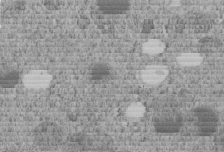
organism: C. elegans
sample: C. elegans embryo early stage